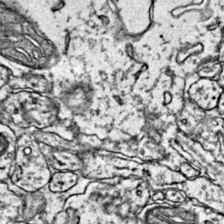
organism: Mouse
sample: Primary visual cortex